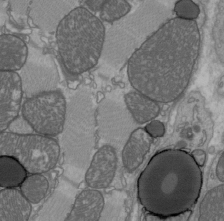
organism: C57BL Mouse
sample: Heart